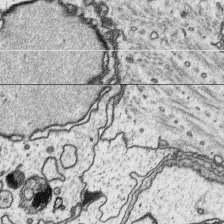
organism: Platynereis dumerilii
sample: Parapodia